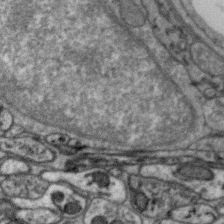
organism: Zebra finch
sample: Brain